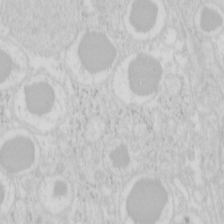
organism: Mouse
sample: Pancreas